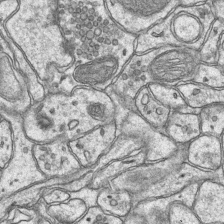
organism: Mouse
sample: CA1 Hippocampus